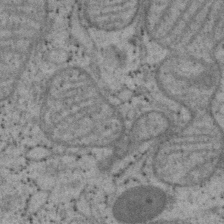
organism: Human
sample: HeLa cells